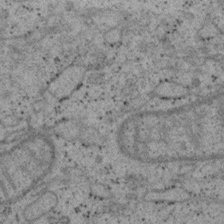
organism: Human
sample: HeLa cells